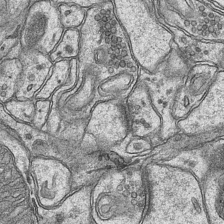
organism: Mouse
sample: CA1 Hippocampus